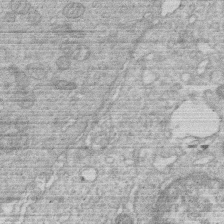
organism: Human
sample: Macrophage cells